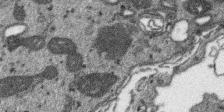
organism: Human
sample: Lung epithelial cells infected with SARS-CoV-2